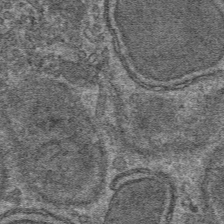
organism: Mouse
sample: Mouse hepatocytes